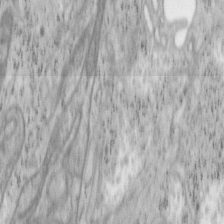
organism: Human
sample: HeLa cells